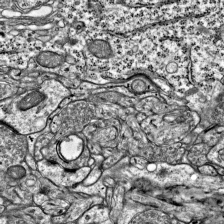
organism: Mouse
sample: Visual Cortex